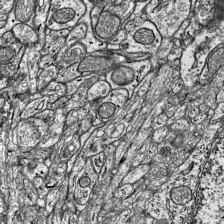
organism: Mouse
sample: Visual Cortex